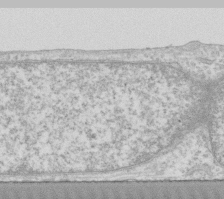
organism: Human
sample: Fibroblast cells